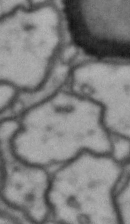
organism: Drosophila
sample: Brain